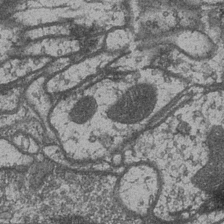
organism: Drosophila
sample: Optic medulla